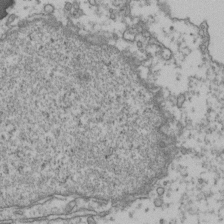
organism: Human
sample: Activated Jurkat CD4+ T cells